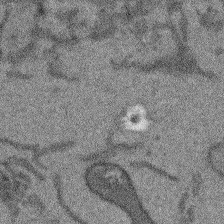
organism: Arabidopsis thaliana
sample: Root tip